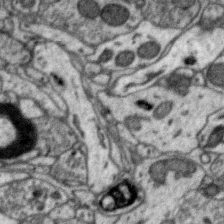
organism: Zebra finch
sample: Brain